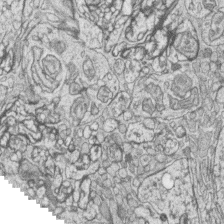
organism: Zebrafish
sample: synaptic ribbons in rod cells and cone cells